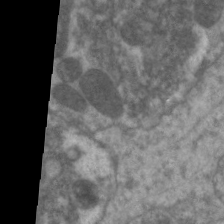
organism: C. elegans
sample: Pharynx